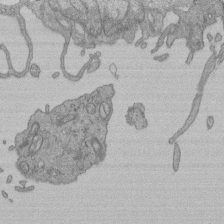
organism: Human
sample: Retinal organoid Rod and Cone cells